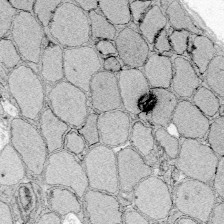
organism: Zebrafish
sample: Whole-Brain